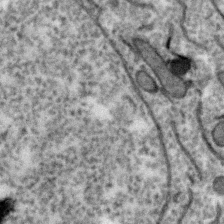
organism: Zebra finch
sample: Brain